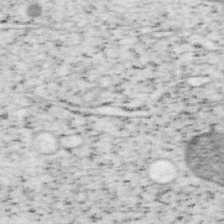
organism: Mouse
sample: OT-I killer T cells with ID8 ovarian cancer cells